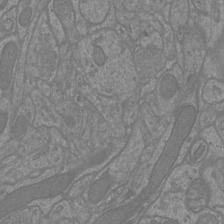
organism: Mouse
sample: Cortical neurons